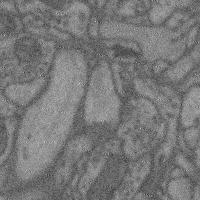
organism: Mouse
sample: Cerebral cortex